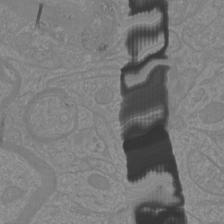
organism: Mouse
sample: Cortical neurons